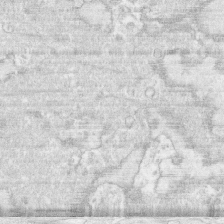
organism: Human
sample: CRL-1474